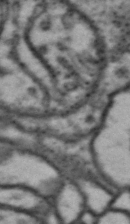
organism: Drosophila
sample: Brain